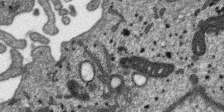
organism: Human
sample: Lung epithelial cells infected with SARS-CoV-2